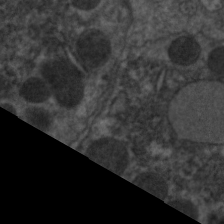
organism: C. elegans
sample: Pharynx